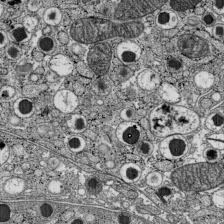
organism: C57BL Mouse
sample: Pancreatic islet